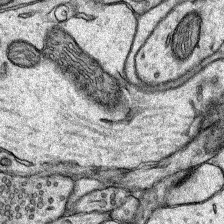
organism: Rat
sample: Hippocampus